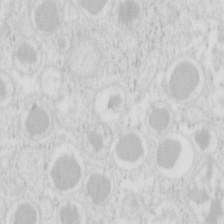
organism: Mouse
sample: Pancreas